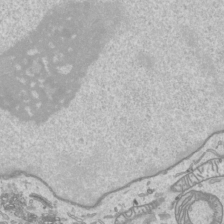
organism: Human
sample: Mitochondria in HCT116 cells